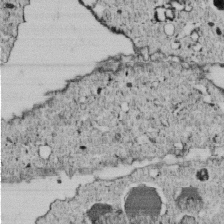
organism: C. elegans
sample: C. elegans embryo early stage